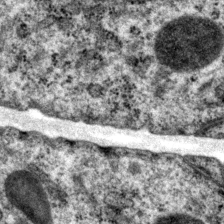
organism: P. pacificus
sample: Pharynx